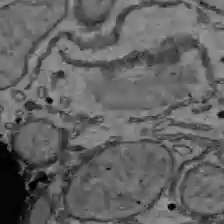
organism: C57BL Mouse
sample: Liver